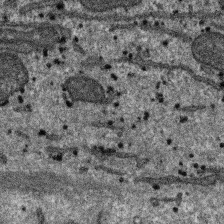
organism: Human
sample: Lung epithelial cells infected with SARS-CoV-2